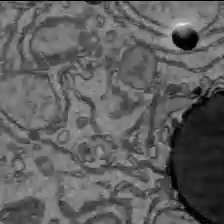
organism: C57BL Mouse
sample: Liver